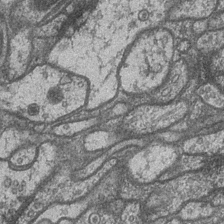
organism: Drosophila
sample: Optic medulla